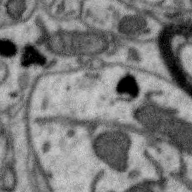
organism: Zebra finch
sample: Brain